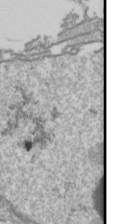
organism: Drosophila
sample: Cell division; meiosis; drosophila spermatocytes